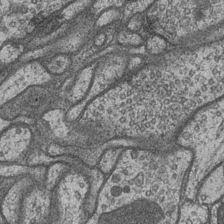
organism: Drosophila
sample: Optic medulla